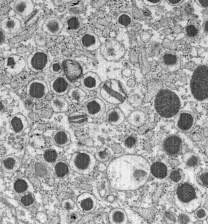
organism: C57BL Mouse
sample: Pancreatic islet